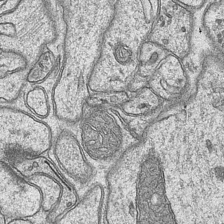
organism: Mouse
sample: CA1 Hippocampus